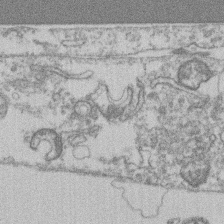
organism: Mouse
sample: T cell stromal cell synapse